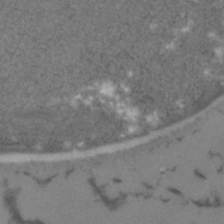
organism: C. elegans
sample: C. elegans embryo